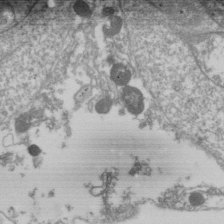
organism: Drosophila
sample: Cell division; meiosis; drosophila spermatocytes